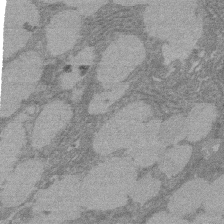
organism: Rat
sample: Salivary granule